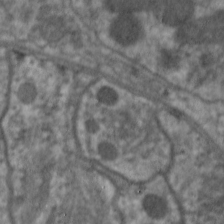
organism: C. elegans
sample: Pharynx